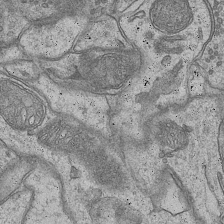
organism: Mouse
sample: CA1 Hippocampus